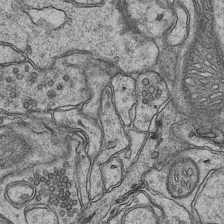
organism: Mouse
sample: CA1 Hippocampus